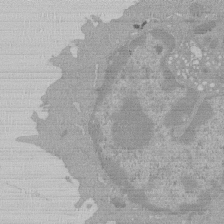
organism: Mouse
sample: Activated Pmel transgenic CD8+ T Cells